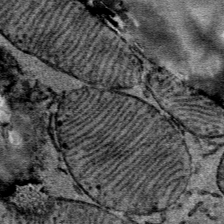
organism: Mouse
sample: Mouse Salivary gland